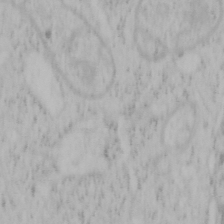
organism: Mouse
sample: OT-I killer T cells with ID8 ovarian cancer cells